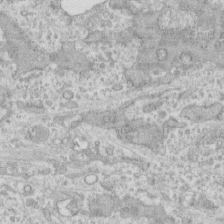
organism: Human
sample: CRL-1474